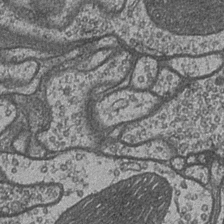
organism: Drosophila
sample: Optic medulla